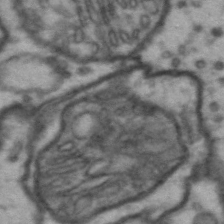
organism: Drosophila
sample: Brain